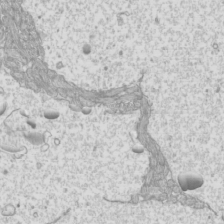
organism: Mouse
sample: Cilia; mouse epididymis